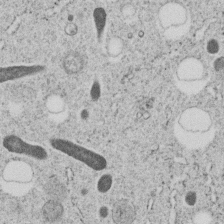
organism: C. elegans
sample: C. elegans embryo early stage